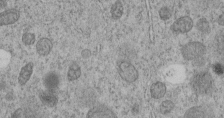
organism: C. elegans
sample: C. elegans embryo early stage